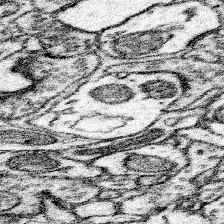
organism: Mouse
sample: Somatosensory cortex neuropil